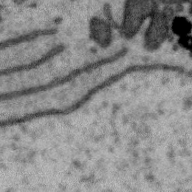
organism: Zebra finch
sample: Brain